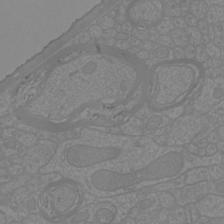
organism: Mouse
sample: Cortical neurons